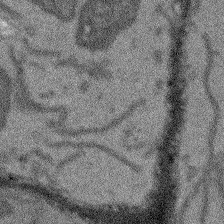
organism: Arabidopsis thaliana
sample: Root tip